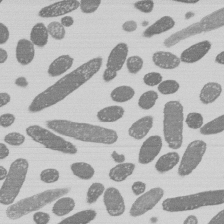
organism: E. coli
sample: Bacterial nucleoid